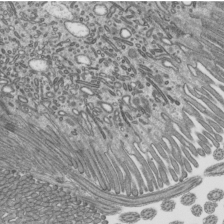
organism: Mouse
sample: Mouse epididymis efferent ductule cilia